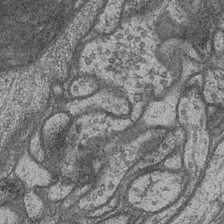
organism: Drosophila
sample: Optic medulla